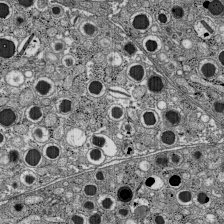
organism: C57BL Mouse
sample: Pancreatic islet